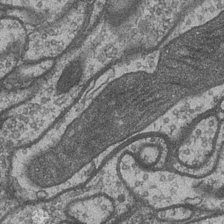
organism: Drosophila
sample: Optic medulla